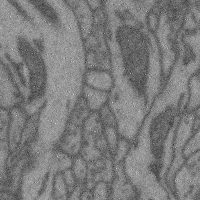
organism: Mouse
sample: Cerebral cortex